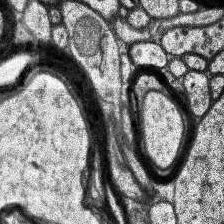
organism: Human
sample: Temporal Lobe